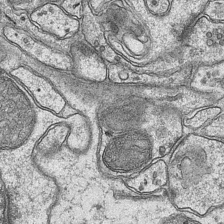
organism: Mouse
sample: CA1 Hippocampus